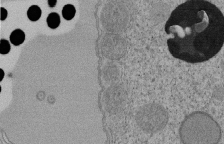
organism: Tetrahymena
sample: Cilia in tetrahymena